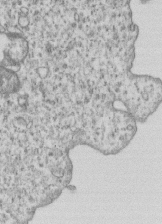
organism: Human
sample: MDA-MB-231 cells